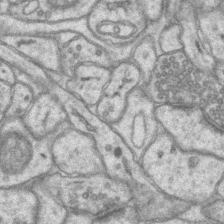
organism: Mouse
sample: CA1 Hippocampus